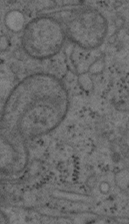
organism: Human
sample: HeLa cells